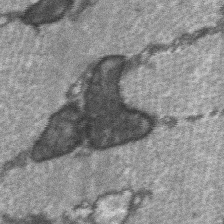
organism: C57BL Mouse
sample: Soleus